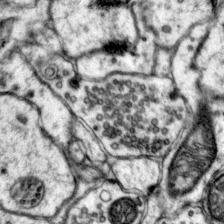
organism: Mouse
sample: Primary visual cortex